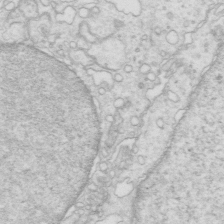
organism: Mouse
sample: Multiciliated cells